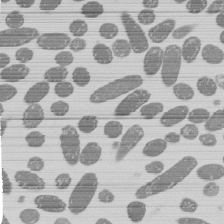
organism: E. coli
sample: Bacterial nucleoid